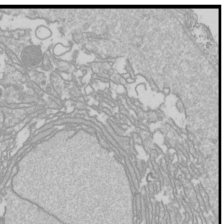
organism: Drosophila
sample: Cell division; meiosis; drosophila spermatocytes